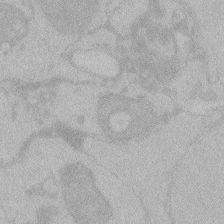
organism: Zebrafish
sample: Macrophage infected with Toxoplasma gondii